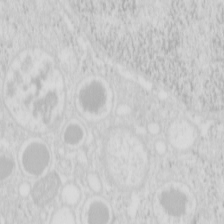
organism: Mouse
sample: Pancreas